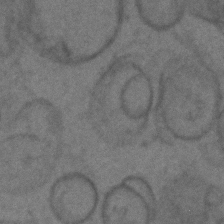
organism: C. elegans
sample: C. elegans embryo